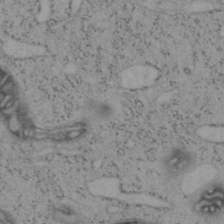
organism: Mouse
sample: OT-I killer T cells with ID8 ovarian cancer cells